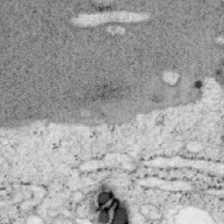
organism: Mouse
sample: OT-I killer T cells with ID8 ovarian cancer cells